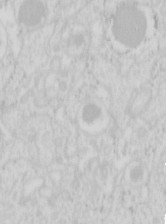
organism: Mouse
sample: Pancreas